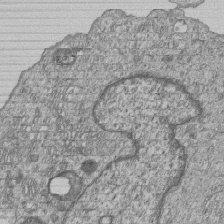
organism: Human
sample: MDA-MB-231 cells